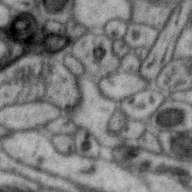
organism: Zebra finch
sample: Brain